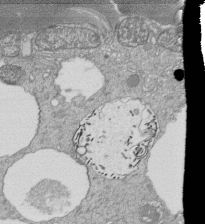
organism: Tetrahymena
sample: Cilia in tetrahymena